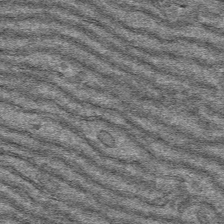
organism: Mouse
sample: Mouse hepatocytes